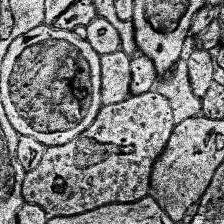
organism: Human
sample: Temporal Lobe